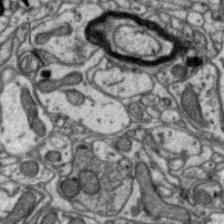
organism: Zebra finch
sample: Brain